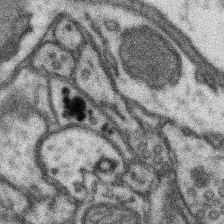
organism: Mouse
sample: Somatosensory cortex neuropil